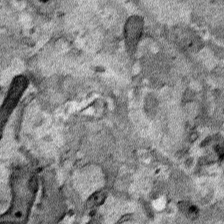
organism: Human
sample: Mitochondria in HCT116 cells